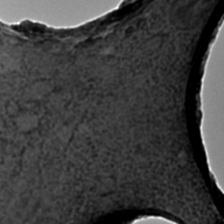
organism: C. elegans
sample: C. elegans embryo